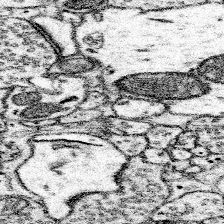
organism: Mouse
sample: Somatosensory cortex neuropil